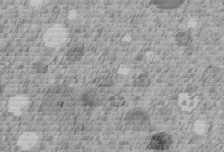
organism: C. elegans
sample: C. elegans embryo early stage